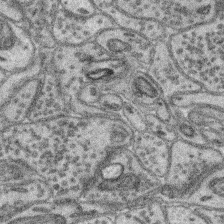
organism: Mouse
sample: Retina